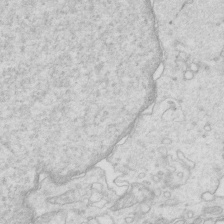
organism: Mouse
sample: Multiciliated cells